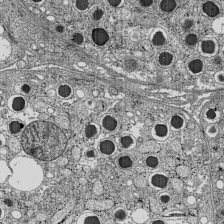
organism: C57BL Mouse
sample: Pancreatic islet